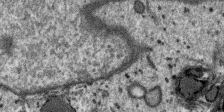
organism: Human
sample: Lung epithelial cells infected with SARS-CoV-2